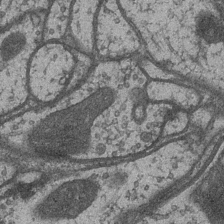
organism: Drosophila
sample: Optic medulla